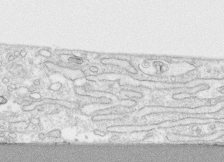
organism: Human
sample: CRL-1474